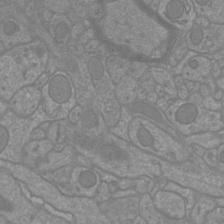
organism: Mouse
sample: Cortical neurons